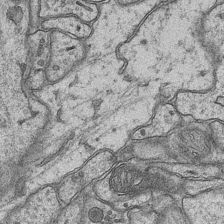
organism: Mouse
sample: CA1 Hippocampus